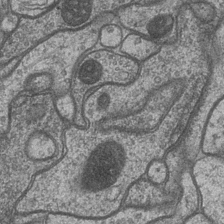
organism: Drosophila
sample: Optic medulla